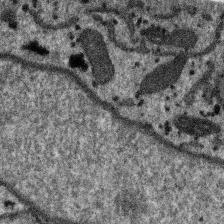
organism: Human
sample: Lung epithelial cells infected with SARS-CoV-2